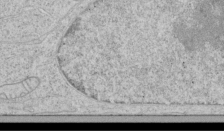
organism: Human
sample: Mitochondria in HCT116 cells